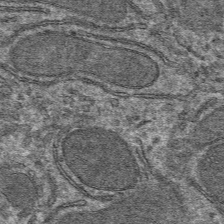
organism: Mouse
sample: Mouse hepatocytes